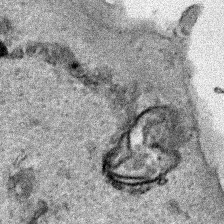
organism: Human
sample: Mitochondria in HCT116 cells